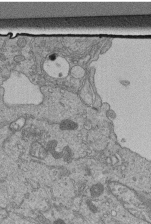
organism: Human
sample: Retinal organoid Rod and Cone cells